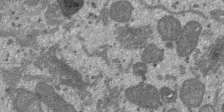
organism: Human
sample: Lung epithelial cells infected with SARS-CoV-2